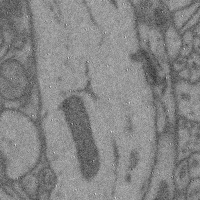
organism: Mouse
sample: Cerebral cortex